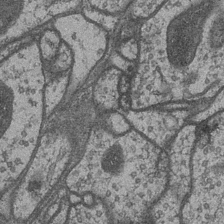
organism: Drosophila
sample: Optic medulla